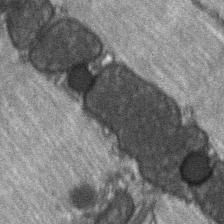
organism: C57BL Mouse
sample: Soleus